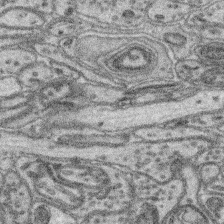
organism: Mouse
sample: Retina